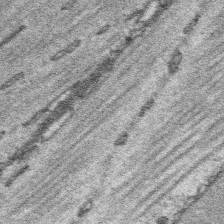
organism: Platynereis dumerilii